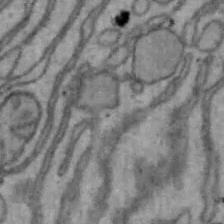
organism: Mouse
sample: Liver